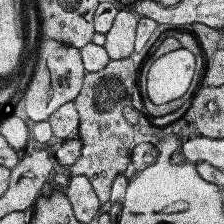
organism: Human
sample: Temporal Lobe